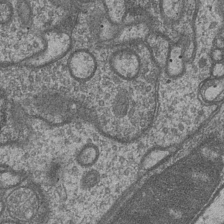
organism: Drosophila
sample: Optic medulla